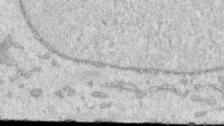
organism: Human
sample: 1205lu cells